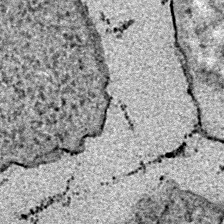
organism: E. coli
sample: E. Coli Bacteria